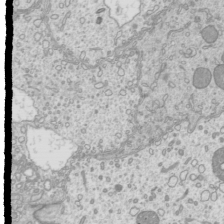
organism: Mouse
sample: Cilia; mouse epididymis